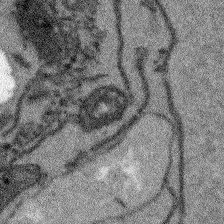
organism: Arabidopsis thaliana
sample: Root tip